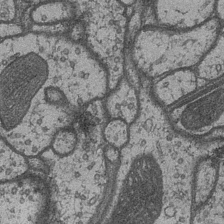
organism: Drosophila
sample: Optic medulla